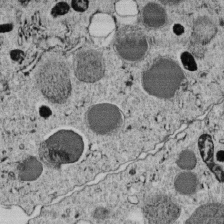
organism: C. elegans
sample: C. elegans embryo early stage